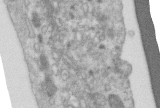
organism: Human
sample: Centriole in RPE cells